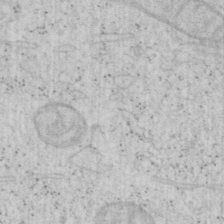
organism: Human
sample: HeLa cells